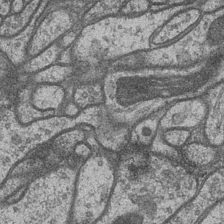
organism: Drosophila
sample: Optic medulla